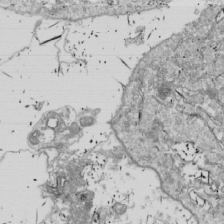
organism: Drosophila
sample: Cell division; meiosis; drosophila spermatocytes